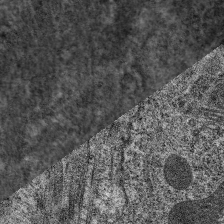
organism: C. elegans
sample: Pharynx